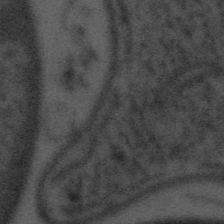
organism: Tuwongella immobilis